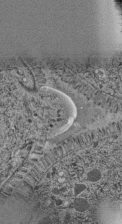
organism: C. elegans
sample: C. elegans pharynx